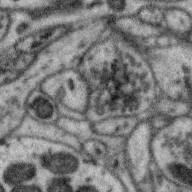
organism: Zebra finch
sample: Brain